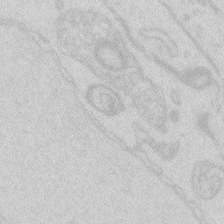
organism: Zebrafish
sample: Macrophage